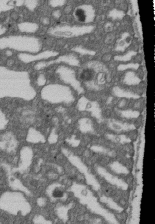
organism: Drosophila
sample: Nephrocyte